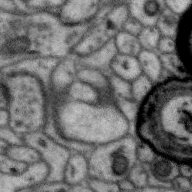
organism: Zebra finch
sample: Brain